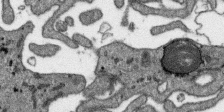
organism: Human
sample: Lung epithelial cells, uninfected (mock) control